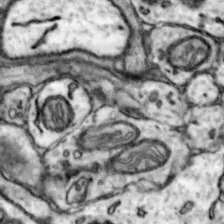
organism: Mouse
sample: Nucleus accumbens